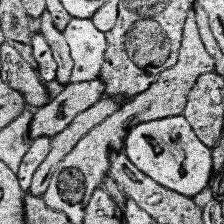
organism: Human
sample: Temporal Lobe